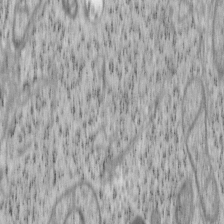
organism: Human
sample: HeLa cells